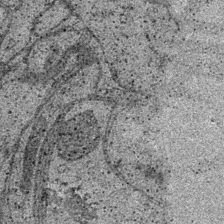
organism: Drosophila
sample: Optic medulla